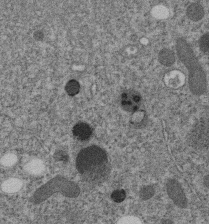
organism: C. elegans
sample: C. elegans embryo early stage